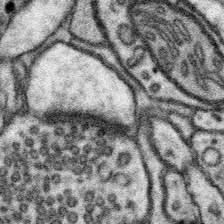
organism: Mouse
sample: Somatosensory cortex neuropil